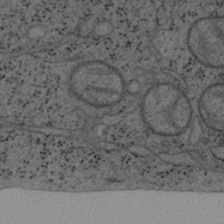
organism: Human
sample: HeLa cells